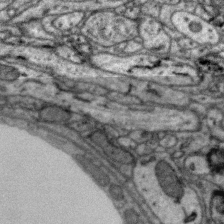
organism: Zebra finch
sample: Brain